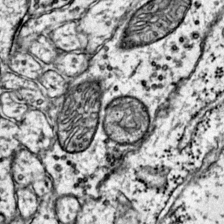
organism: Mouse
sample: Primary visual cortex